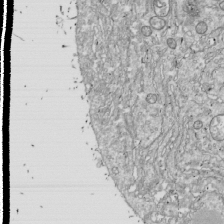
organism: Drosophila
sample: Cell division; meiosis; drosophila spermatocytes